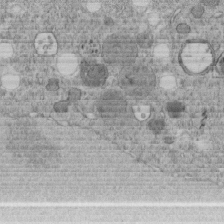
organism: C. elegans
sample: C. elegans embryo early stage